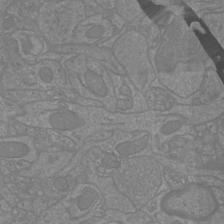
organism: Mouse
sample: Cortical neurons